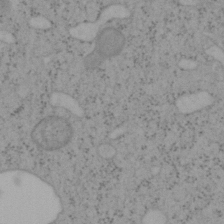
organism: Mouse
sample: OT-I killer T cells with ID8 ovarian cancer cells